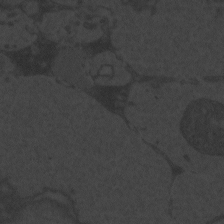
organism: Zebrafish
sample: Macrophage infected with Toxoplasma gondii